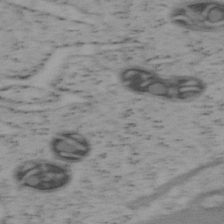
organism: Mouse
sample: OT-I killer T cells with ID8 ovarian cancer cells